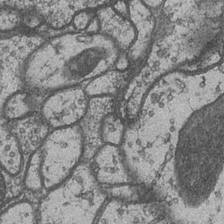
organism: Drosophila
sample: Optic medulla